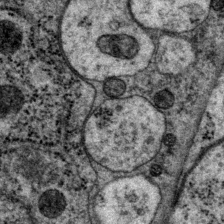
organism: P. pacificus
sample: Pharynx